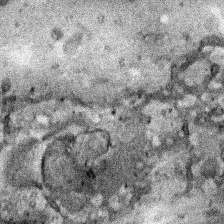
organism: Human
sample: Mitochondria in HCT116 cells